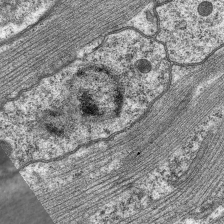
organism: C. elegans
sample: Pharynx